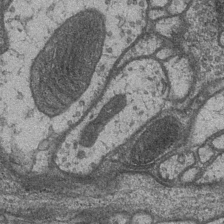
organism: Drosophila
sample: Optic medulla